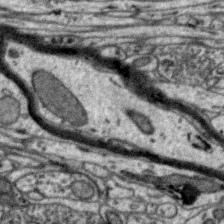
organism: Zebra finch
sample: Brain